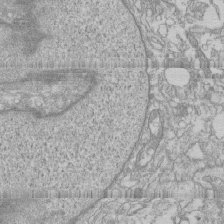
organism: Human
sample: CRL-1474